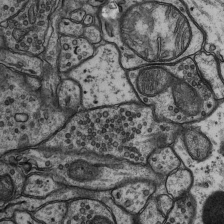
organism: Rat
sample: Hippocampus